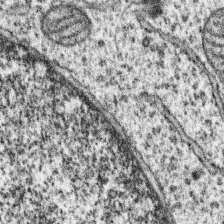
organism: Human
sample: HeLa cells